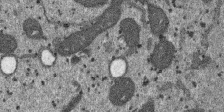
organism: Human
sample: Lung epithelial cells infected with SARS-CoV-2